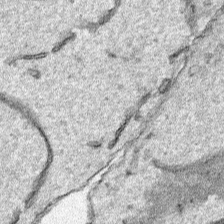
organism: Human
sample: Mitochondria in HCT116 cells